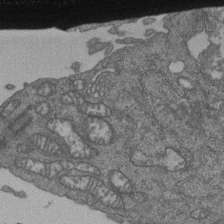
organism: Human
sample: Retinal organoid Rod and Cone cells